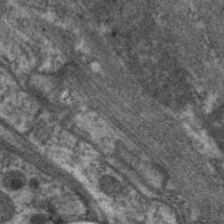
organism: C. elegans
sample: Pharynx